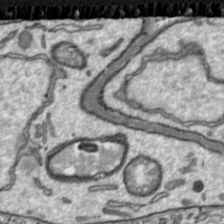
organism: Toxoplasma gondii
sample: Parasites in a vacuole inside a host cell